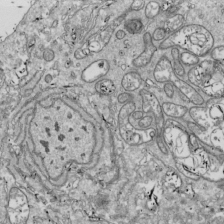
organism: Drosophila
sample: Cell division; meiosis; drosophila spermatocytes